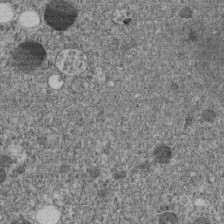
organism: C. elegans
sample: C. elegans embryo early stage